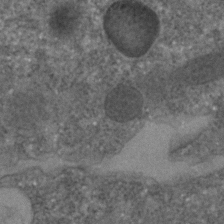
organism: C. elegans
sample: C. elegans embryo